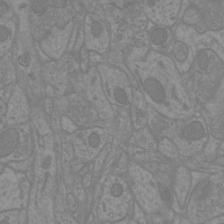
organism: Mouse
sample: Cortical neurons